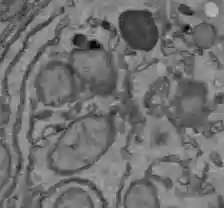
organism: C57BL Mouse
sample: Liver